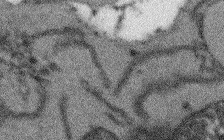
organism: Arabidopsis thaliana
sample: Root tip